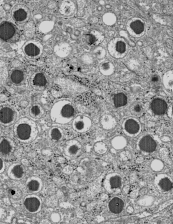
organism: C57BL Mouse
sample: Pancreatic islet